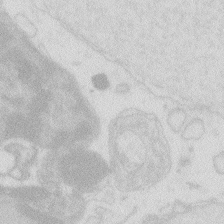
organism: Zebrafish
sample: Macrophage